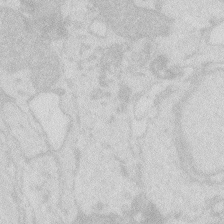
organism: Zebrafish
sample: Macrophage